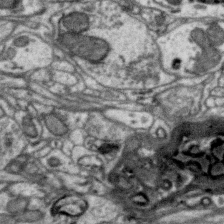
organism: Zebra finch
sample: Brain